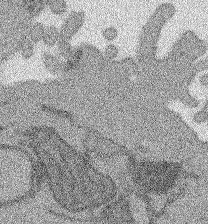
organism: Human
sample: HeLa cells